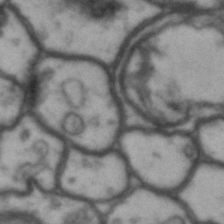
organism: Drosophila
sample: Brain